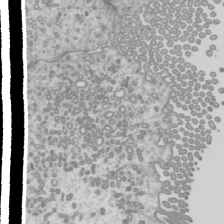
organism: Mouse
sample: Cilia; mouse epididymis